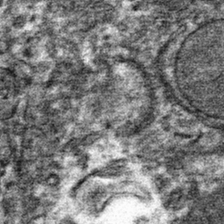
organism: Mouse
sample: Mouse hepatocytes